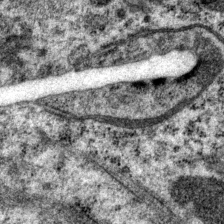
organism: P. pacificus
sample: Pharynx